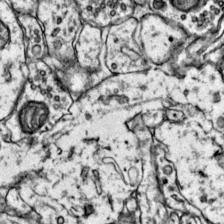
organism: Mouse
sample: Primary visual cortex